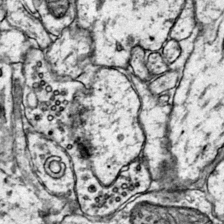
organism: Mouse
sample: Primary visual cortex